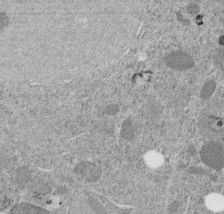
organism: C. elegans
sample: C. elegans embryo early stage